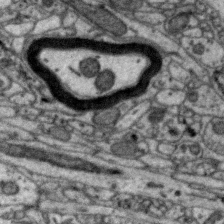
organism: Zebra finch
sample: Brain